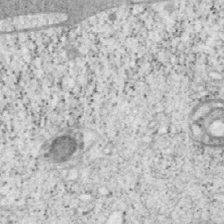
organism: Mouse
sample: OT-I killer T cells with ID8 ovarian cancer cells